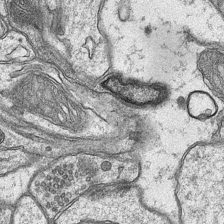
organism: Mouse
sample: CA1 Hippocampus